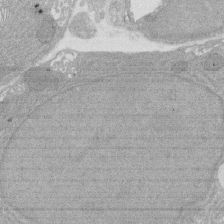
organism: Rat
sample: Salivary granule